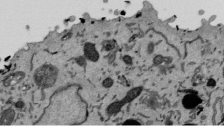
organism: Mouse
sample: ED-1 cell nuclei; centrioles